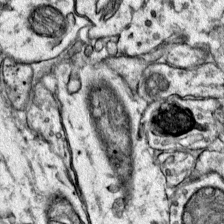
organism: Mouse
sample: Primary visual cortex